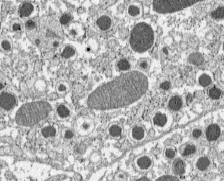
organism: C57BL Mouse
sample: Pancreatic islet